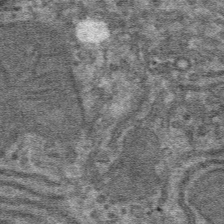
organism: Mouse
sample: Mouse hepatocytes